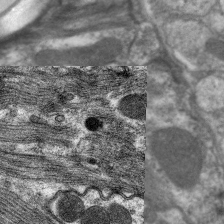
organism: C. elegans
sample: Pharynx